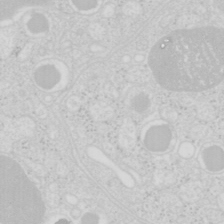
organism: Mouse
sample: Pancreas